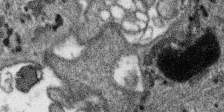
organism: Human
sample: Lung epithelial cells infected with SARS-CoV-2